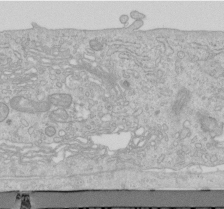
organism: Human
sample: Centriole in RPE cells